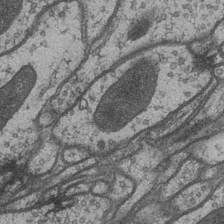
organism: Drosophila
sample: Optic medulla